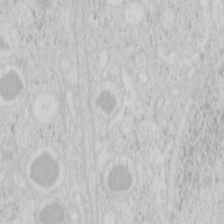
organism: Mouse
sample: Pancreas